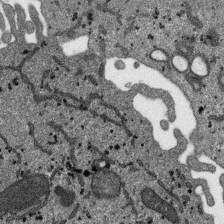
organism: Human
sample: Lung epithelial cells infected with SARS-CoV-2